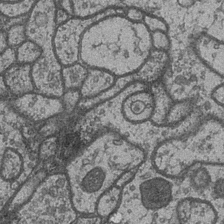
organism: Drosophila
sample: Optic medulla